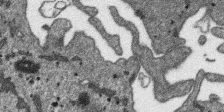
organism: Human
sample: Lung epithelial cells infected with SARS-CoV-2